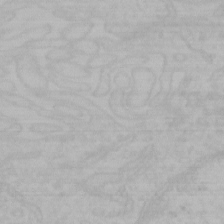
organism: Mouse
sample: Choroid plexus